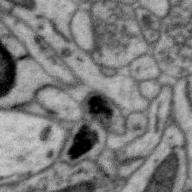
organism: Zebra finch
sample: Brain